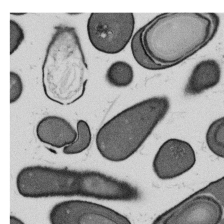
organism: B. subtilis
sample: Bacterial spore